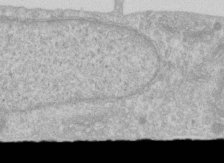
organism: Human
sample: Centriole in RPE cells